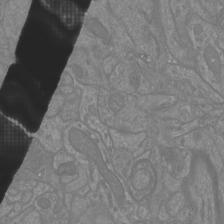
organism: Mouse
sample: Cortical neurons